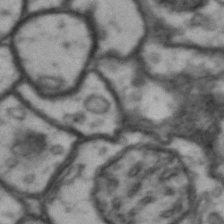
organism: Drosophila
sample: Brain